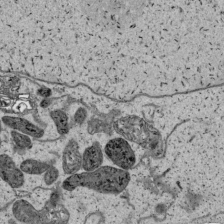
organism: Human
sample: Mitochondria in HCT116 cells